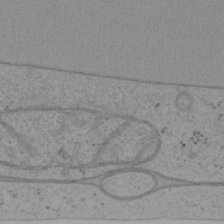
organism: Human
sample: HeLa cells